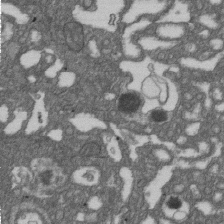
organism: Drosophila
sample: Nephrocyte